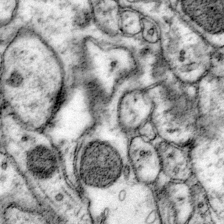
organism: Mouse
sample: Primary visual cortex